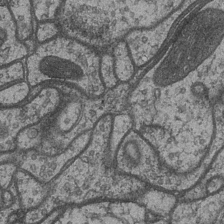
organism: Drosophila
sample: Optic medulla